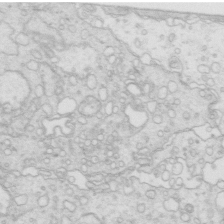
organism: Mouse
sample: Multiciliated cells